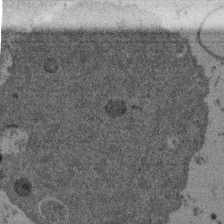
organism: Mouse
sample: Dividing mouse embryo 1 cell stage